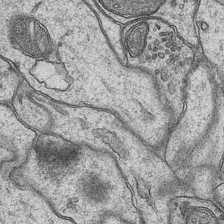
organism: Mouse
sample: CA1 Hippocampus